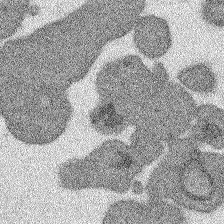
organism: Human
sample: HeLa cells